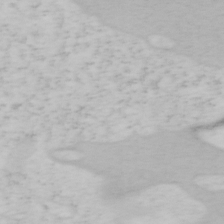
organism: Mouse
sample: OT-I killer T cells with ID8 ovarian cancer cells